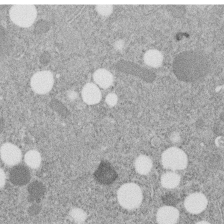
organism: C. elegans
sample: C. elegans embryo early stage